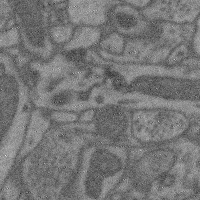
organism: Mouse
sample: Cerebral cortex